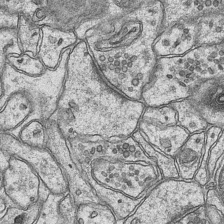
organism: Mouse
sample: CA1 Hippocampus